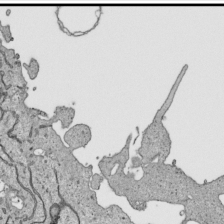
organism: Human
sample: Mitochondria in HCT116 cells